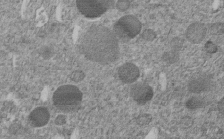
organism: C. elegans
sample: C. elegans embryo early stage